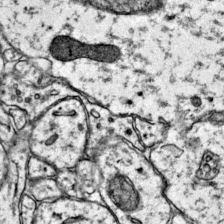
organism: Mouse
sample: Primary visual cortex